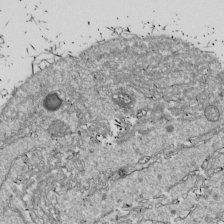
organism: Drosophila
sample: Cell division; meiosis; drosophila spermatocytes